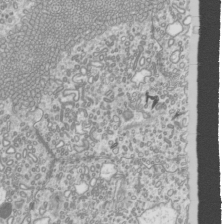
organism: Mouse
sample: Cilia; mouse epididymis